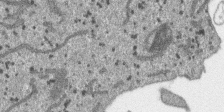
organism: Human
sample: Lung epithelial cells infected with SARS-CoV-2